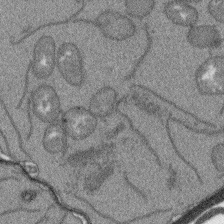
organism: Arabidopsis thaliana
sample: Root tip